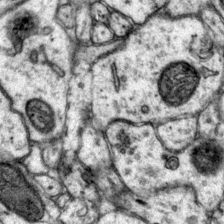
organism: Mouse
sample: Primary visual cortex